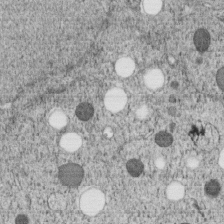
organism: C. elegans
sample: C. elegans embryo early stage